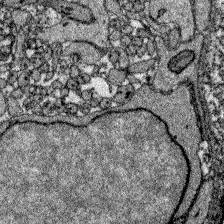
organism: Zebrafish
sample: Larval olfactory bulb